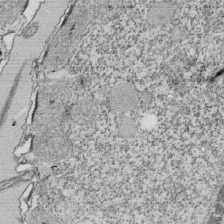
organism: Tetrahymena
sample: Cilia in tetrahymena